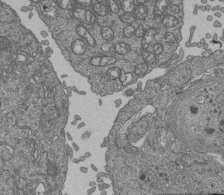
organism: Human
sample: Retinal organoid Rod and Cone cells